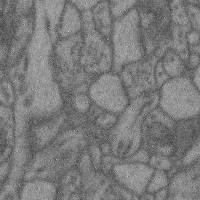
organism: Mouse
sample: Cerebral cortex